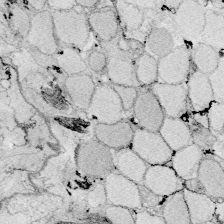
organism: Zebrafish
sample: Whole-Brain